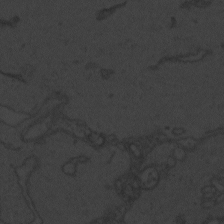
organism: Zebrafish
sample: Macrophage infected with Toxoplasma gondii